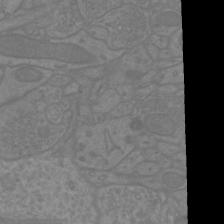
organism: Mouse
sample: Cortical neurons